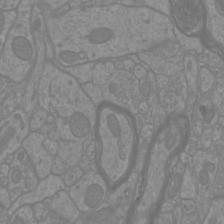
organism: Mouse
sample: Cortical neurons